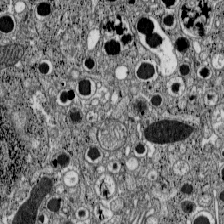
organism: C57BL Mouse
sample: Pancreatic islet